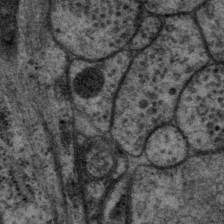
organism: P. pacificus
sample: Pharynx